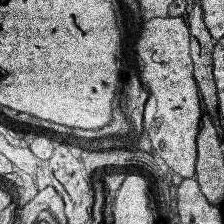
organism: Human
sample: Temporal Lobe